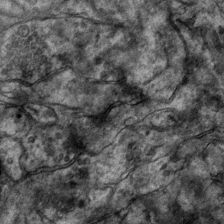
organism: Mouse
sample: CA1 Hippocampus